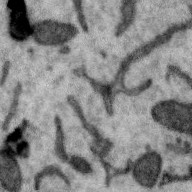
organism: Zebra finch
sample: Brain